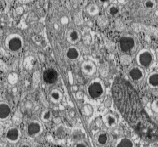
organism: C57BL Mouse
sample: Pancreatic islet